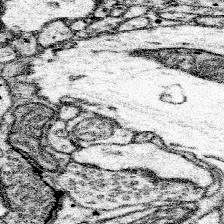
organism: Mouse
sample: Somatosensory cortex neuropil